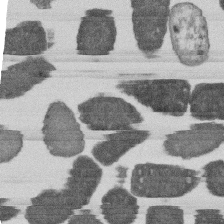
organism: E. coli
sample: Bacterial nucleoid